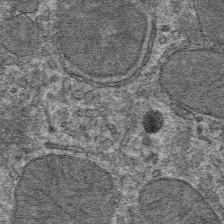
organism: Mouse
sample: Mouse hepatocytes